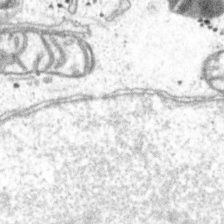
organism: Human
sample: HeLa cells